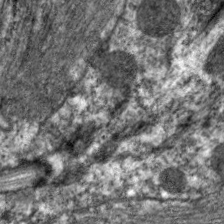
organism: C. elegans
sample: Pharynx